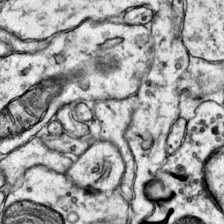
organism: Mouse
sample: Primary visual cortex